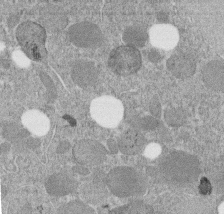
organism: C. elegans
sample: C. elegans embryo early stage